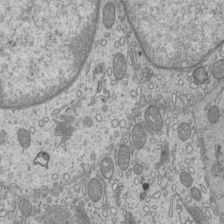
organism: Mouse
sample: Cilia; mouse epididymis